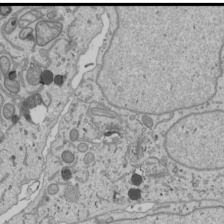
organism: Human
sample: Mitochondria in U2OS cells